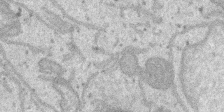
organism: Human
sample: Lung epithelial cells infected with SARS-CoV-2